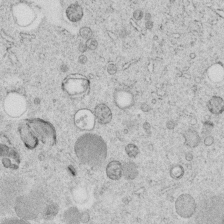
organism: C. elegans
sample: C. elegans embryo early stage